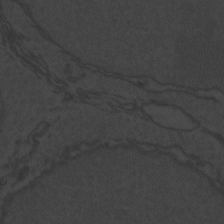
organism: Zebrafish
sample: Macrophage infected with Toxoplasma gondii